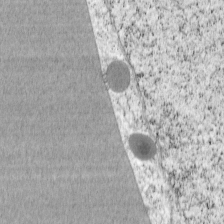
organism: African green monkey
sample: COS-7 cells